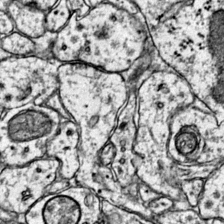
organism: Mouse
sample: Primary visual cortex